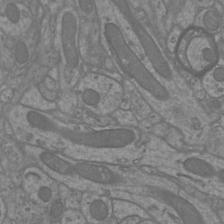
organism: Mouse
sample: Cortical neurons